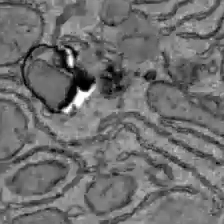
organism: C57BL Mouse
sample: Liver